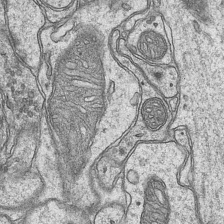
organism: Mouse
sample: CA1 Hippocampus